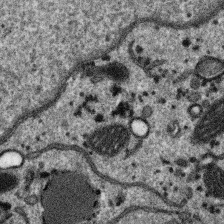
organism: Human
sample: Lung epithelial cells infected with SARS-CoV-2